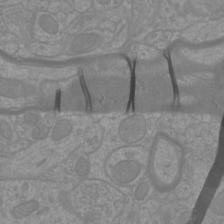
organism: Mouse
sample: Cortical neurons